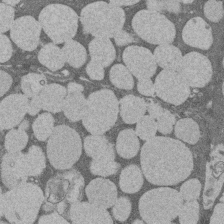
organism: Rat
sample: Salivary granule